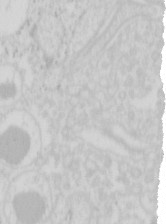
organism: Mouse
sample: Pancreas